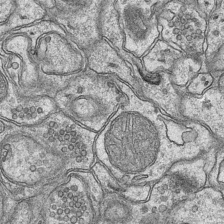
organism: Mouse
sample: CA1 Hippocampus